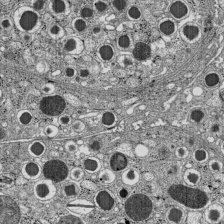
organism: C57BL Mouse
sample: Pancreatic islet